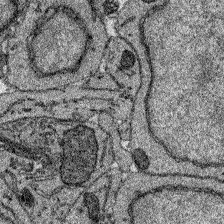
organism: Zebrafish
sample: Larval olfactory bulb